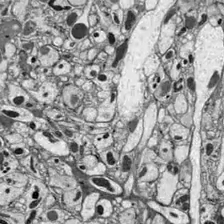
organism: Drosophila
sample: Optic lobe